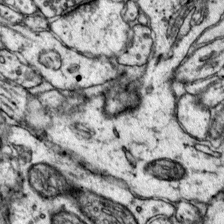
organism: Mouse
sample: Primary visual cortex